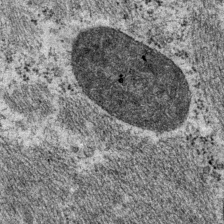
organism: P. pacificus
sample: Pharynx